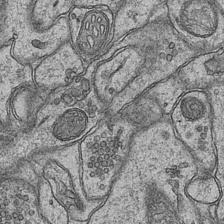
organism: Mouse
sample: CA1 Hippocampus